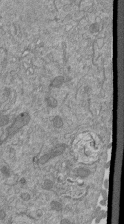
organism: Mouse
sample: ED-1 cell nuclei; centrioles